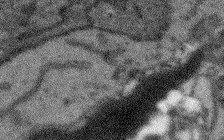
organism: Arabidopsis thaliana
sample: Root tip